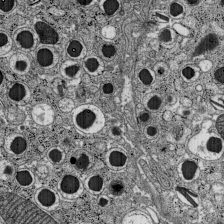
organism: C57BL Mouse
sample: Pancreatic islet